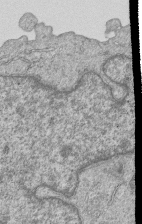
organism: Human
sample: MDA-MB-231 cells